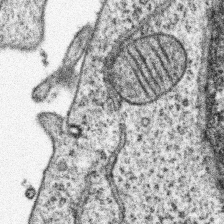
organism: Human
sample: HeLa cells